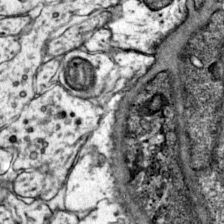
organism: Mouse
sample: Primary visual cortex